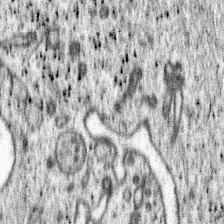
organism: Human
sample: HeLa cells